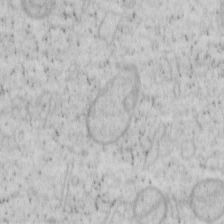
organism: Human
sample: HeLa cells